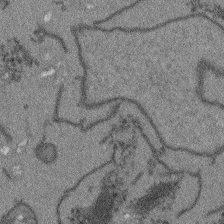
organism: Arabidopsis thaliana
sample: Root tip